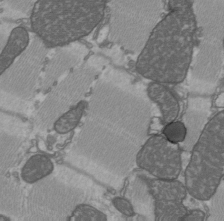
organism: C57BL Mouse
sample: Heart